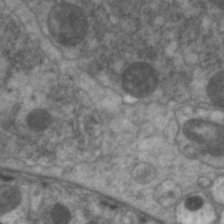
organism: C. elegans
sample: Pharynx